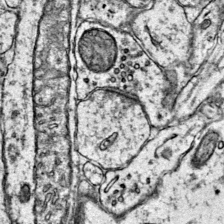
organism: Mouse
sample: Primary visual cortex